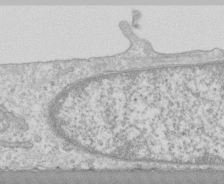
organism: Human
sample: CRL-1474